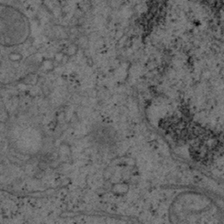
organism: Human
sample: HeLa cells